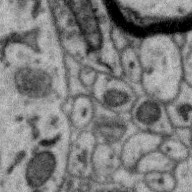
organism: Zebra finch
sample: Brain